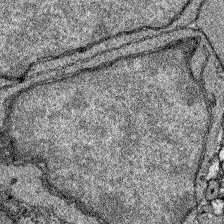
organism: Zebrafish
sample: Larval olfactory bulb